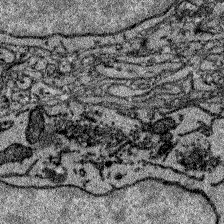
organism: Zebrafish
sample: Larval olfactory bulb